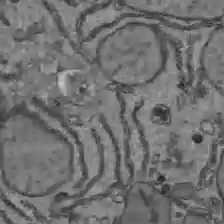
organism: C57BL Mouse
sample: Liver